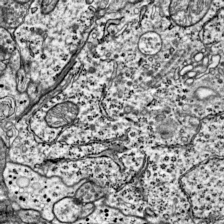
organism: Mouse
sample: Visual Cortex